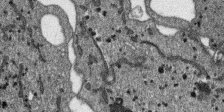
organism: Human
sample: Lung epithelial cells infected with SARS-CoV-2